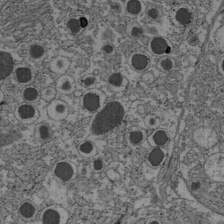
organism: C57BL Mouse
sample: Pancreatic islet